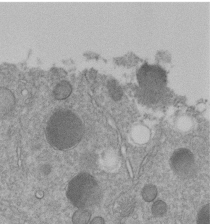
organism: C. elegans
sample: C. elegans embryo early stage